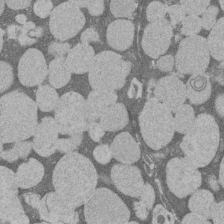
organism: Rat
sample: Salivary granule